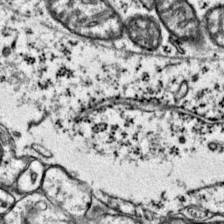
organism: Mouse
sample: Primary visual cortex